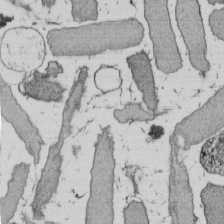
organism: E. coli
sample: Bacterial nucleoid